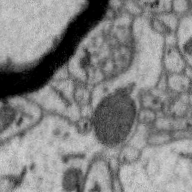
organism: Zebra finch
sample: Brain